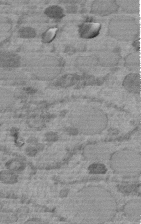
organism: C. elegans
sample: C. elegans embryo early stage